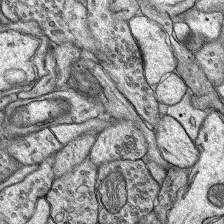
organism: Rat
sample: Hippocampus